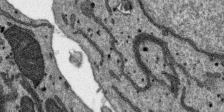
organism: Human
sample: Lung epithelial cells, uninfected (mock) control